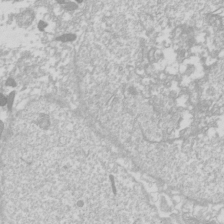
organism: Drosophila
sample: Cell division; meiosis; drosophila spermatocytes